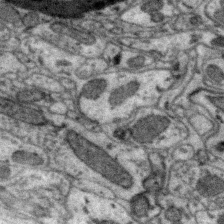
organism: Zebra finch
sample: Brain